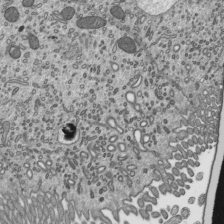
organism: Mouse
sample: Mouse epididymis efferent ductule cilia